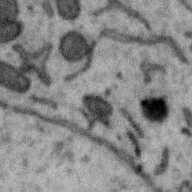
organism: Zebra finch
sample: Brain